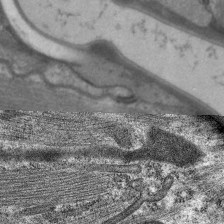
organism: C. elegans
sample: Pharynx